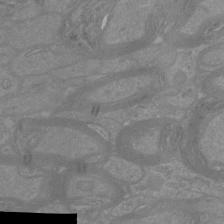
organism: Mouse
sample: Cortical neurons